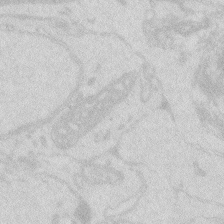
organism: Zebrafish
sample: Macrophage